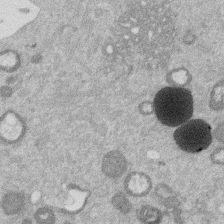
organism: Mouse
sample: Dividing mouse embryo 1 cell stage